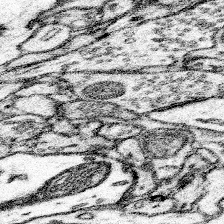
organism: Mouse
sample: Somatosensory cortex neuropil